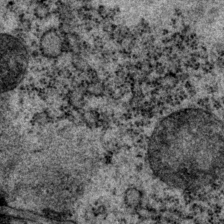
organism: P. pacificus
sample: Pharynx